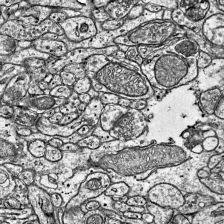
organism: Mouse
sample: Visual Cortex